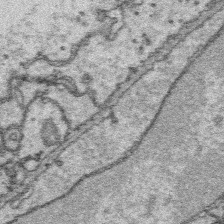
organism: Platynereis dumerilii